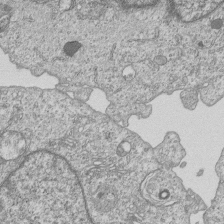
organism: Human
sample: MDA-MB-231 cells